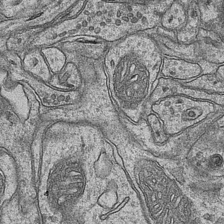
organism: Mouse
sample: CA1 Hippocampus